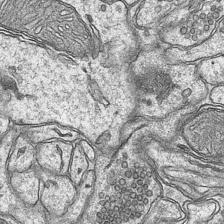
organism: Mouse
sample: CA1 Hippocampus